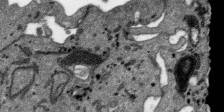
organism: Human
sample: Lung epithelial cells, uninfected (mock) control